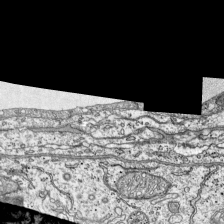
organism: Mouse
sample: Visual Cortex